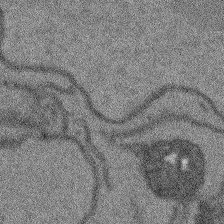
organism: Arabidopsis thaliana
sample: Root tip